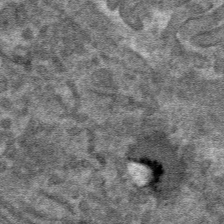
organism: Mouse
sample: Mouse hepatocytes